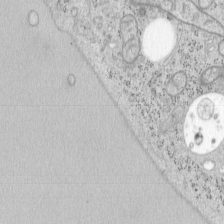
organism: Mouse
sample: OT-I killer T cells with ID8 ovarian cancer cells